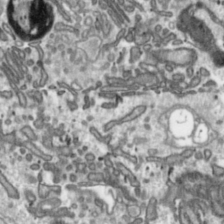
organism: Toxoplasma gondii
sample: Parasites in a vacuole inside a host cell